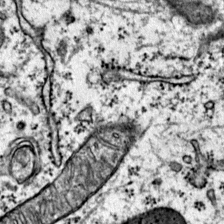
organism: Mouse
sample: Primary visual cortex